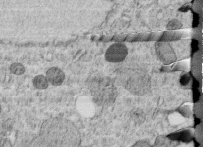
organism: C. elegans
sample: C. elegans embryo early stage